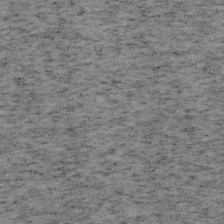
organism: Mouse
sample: OT-I killer T cells with ID8 ovarian cancer cells